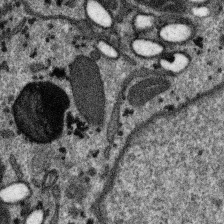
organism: Human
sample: Lung epithelial cells infected with SARS-CoV-2